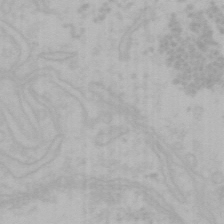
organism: Mouse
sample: Choroid plexus